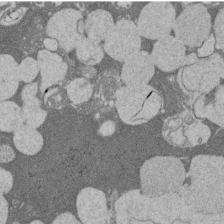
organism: Rat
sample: Salivary granule